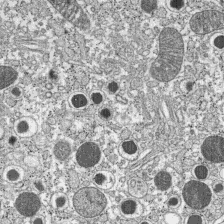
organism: C57BL Mouse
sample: Pancreatic islet